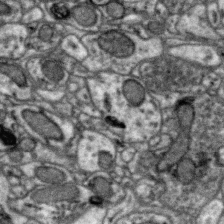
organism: Zebra finch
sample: Brain